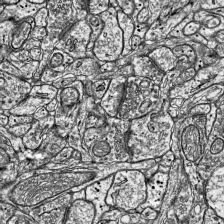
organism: Mouse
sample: Visual Cortex